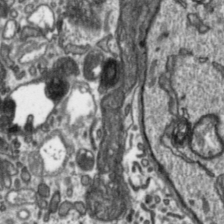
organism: Toxoplasma gondii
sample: Parasites in a vacuole inside a host cell